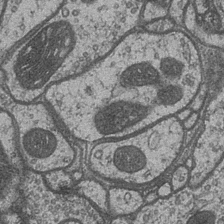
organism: Drosophila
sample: Optic medulla